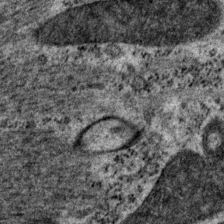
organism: P. pacificus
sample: Pharynx